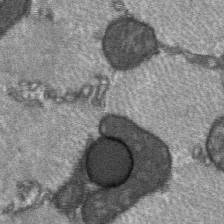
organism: C57BL Mouse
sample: Soleus